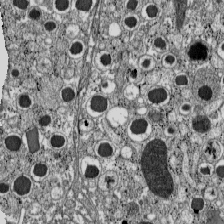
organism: C57BL Mouse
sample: Pancreatic islet